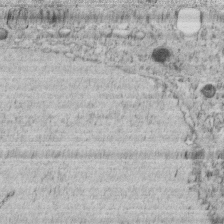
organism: C. elegans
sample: C. elegans embryo early stage